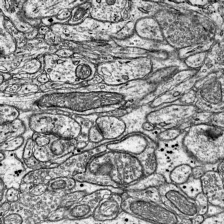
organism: Mouse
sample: Visual Cortex